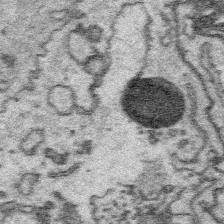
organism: Platynereis dumerilii